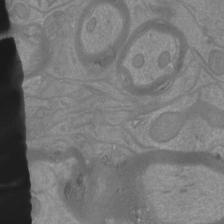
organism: Mouse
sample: Cortical neurons